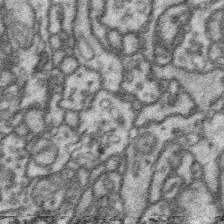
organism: Platynereis dumerilii